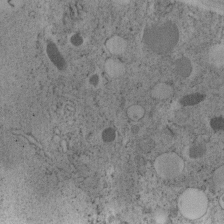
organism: C. elegans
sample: C. elegans embryo early stage